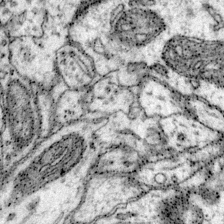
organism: Mouse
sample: Primary visual cortex